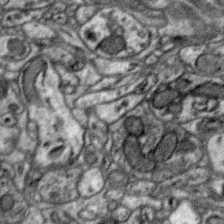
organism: Zebra finch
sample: Brain